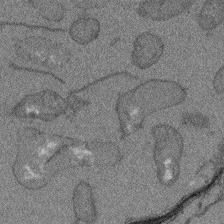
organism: Arabidopsis thaliana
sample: Root tip